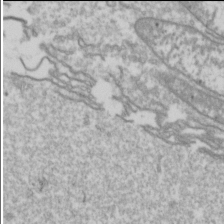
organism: Drosophila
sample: Cell division; meiosis; drosophila spermatocytes